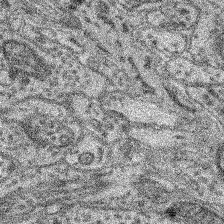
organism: Mouse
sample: Retina